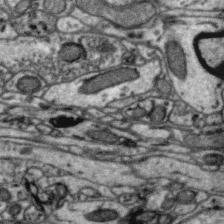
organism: Zebra finch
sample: Brain